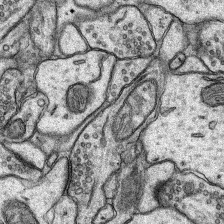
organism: Rat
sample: Hippocampus